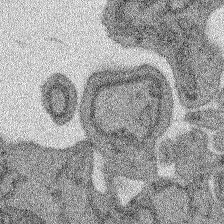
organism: Human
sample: HeLa cells